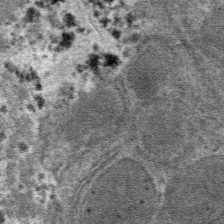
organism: Mouse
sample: Mouse hepatocytes